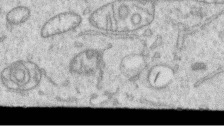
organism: Human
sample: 1205lu cells